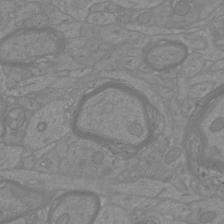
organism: Mouse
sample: Cortical neurons